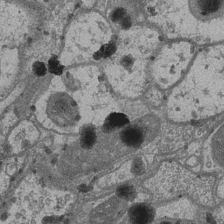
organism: Drosophila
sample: Optic medulla